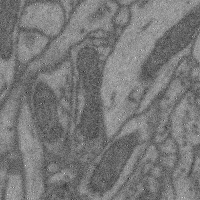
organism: Mouse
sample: Cerebral cortex